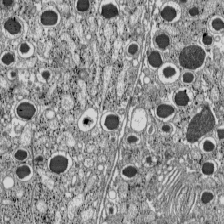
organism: C57BL Mouse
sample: Pancreatic islet